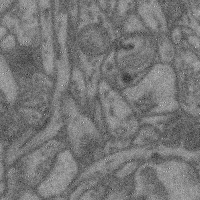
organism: Mouse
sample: Cerebral cortex